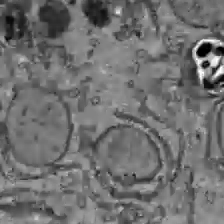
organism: C57BL Mouse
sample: Liver